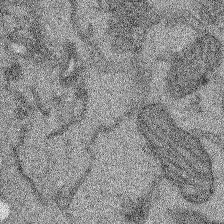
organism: Human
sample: HeLa cells